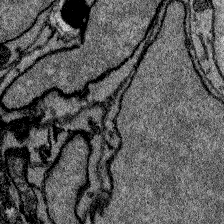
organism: Zebrafish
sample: Larval olfactory bulb